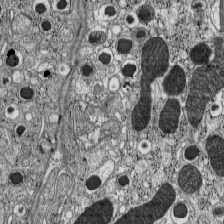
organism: C57BL Mouse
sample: Pancreatic islet